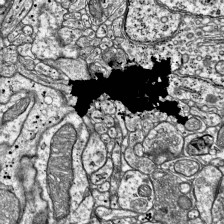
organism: Mouse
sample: Visual Cortex